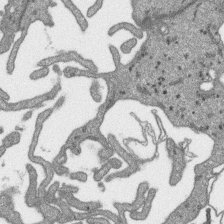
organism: Human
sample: Lung epithelial cells infected with SARS-CoV-2